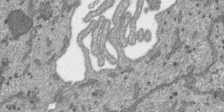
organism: Human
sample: Lung epithelial cells infected with SARS-CoV-2